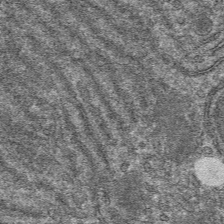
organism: Mouse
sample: Mouse hepatocytes